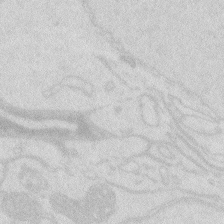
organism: Zebrafish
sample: Macrophage